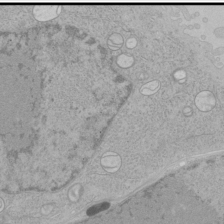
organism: Human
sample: Mitochondria in HCT116 cells